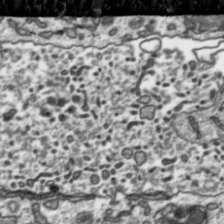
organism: Toxoplasma gondii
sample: Parasites in a vacuole inside a host cell